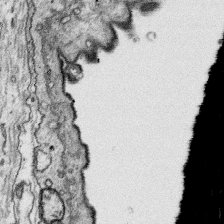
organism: Platynereis dumerilii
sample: Parapodia